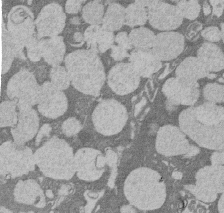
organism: Rat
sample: Salivary granule